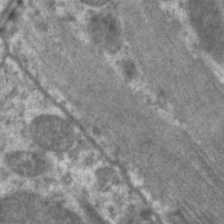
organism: C. elegans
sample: Pharynx